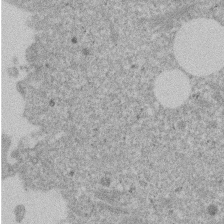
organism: Mouse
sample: Dividing mouse embryo 1 cell stage